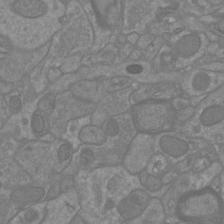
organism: Mouse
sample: Cortical neurons